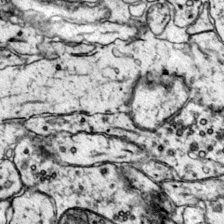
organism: Mouse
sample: Primary visual cortex